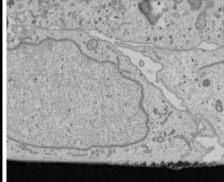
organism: Human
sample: Mitochondria in U2OS cells